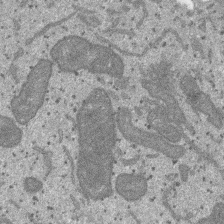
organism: Human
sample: Lung epithelial cells infected with SARS-CoV-2